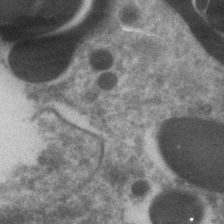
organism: Zebrafish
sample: Zebrafish embryo